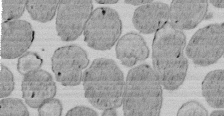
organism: E. coli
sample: Bacterial nucleoid